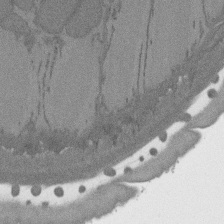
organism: C. elegans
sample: AFD neurons C. elegans